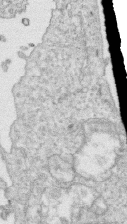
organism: Human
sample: HeLa cell HIV synapse